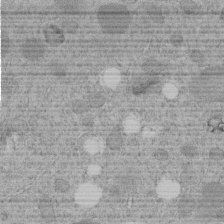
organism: C. elegans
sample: C. elegans embryo early stage